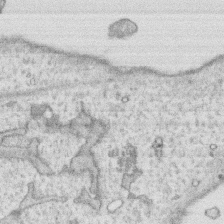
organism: Human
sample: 1205lu cells